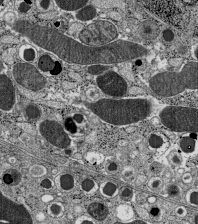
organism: C57BL Mouse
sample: Pancreatic islet